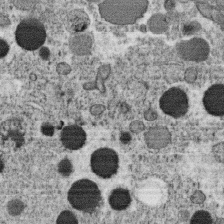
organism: C. elegans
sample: C. elegans oocyte; sperm cells